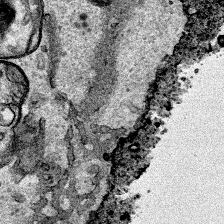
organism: Human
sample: Mitochondria in HCT116 cells